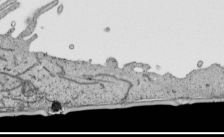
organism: Human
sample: Mitochondria in HCT116 cells